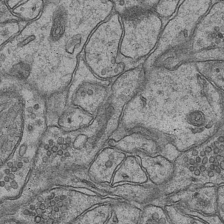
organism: Mouse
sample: CA1 Hippocampus